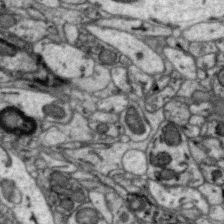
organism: Zebra finch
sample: Brain